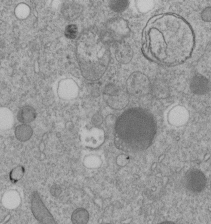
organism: C. elegans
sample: C. elegans embryo early stage